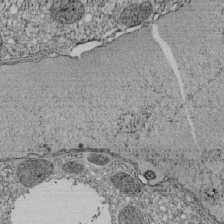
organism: Tetrahymena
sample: Cilia in tetrahymena